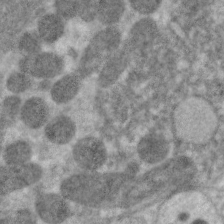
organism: C. elegans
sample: Pharynx